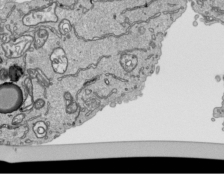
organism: Human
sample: Mitochondria in HCT116 cells